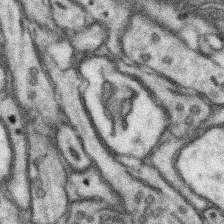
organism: Mouse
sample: Somatosensory cortex neuropil